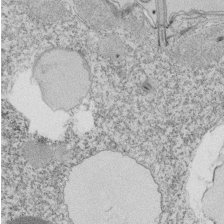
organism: Tetrahymena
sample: Cilia in tetrahymena